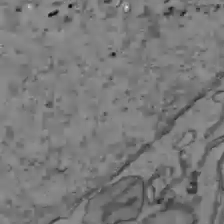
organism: C57BL Mouse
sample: Liver